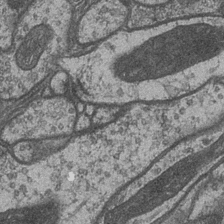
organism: Drosophila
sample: Optic medulla